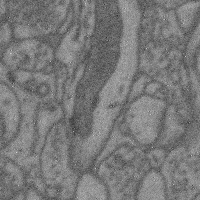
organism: Mouse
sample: Cerebral cortex